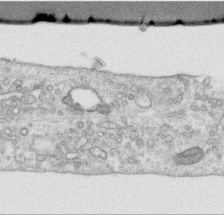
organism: Human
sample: Centriole in RPE cells